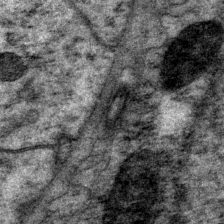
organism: P. pacificus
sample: Pharynx